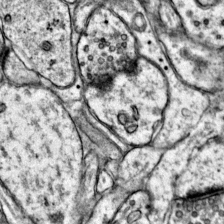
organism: Mouse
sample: Primary visual cortex